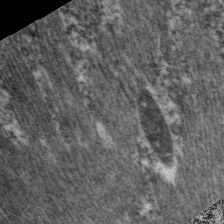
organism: C. elegans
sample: Pharynx